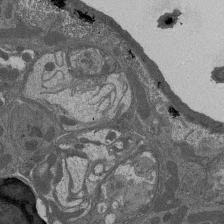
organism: Drosophila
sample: Antenna